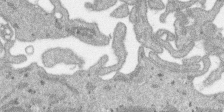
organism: Human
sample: Lung epithelial cells infected with SARS-CoV-2